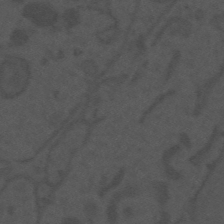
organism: Mouse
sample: Suprachiasmatic nucleus